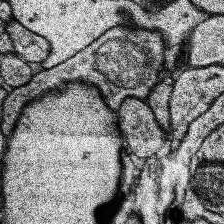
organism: Human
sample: Temporal Lobe